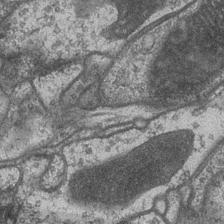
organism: Drosophila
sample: Optic medulla